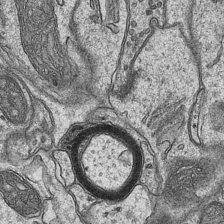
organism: Mouse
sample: CA1 Hippocampus